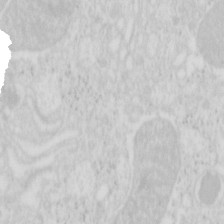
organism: Mouse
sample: Pancreas